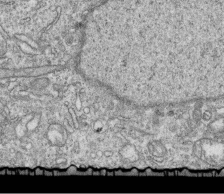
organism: Human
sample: HeLa cell HIV synapse